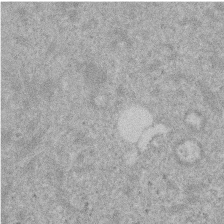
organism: Mouse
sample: Dividing mouse embryo 1 cell stage